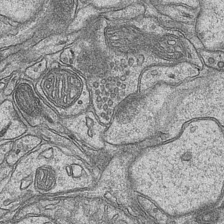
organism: Mouse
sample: CA1 Hippocampus